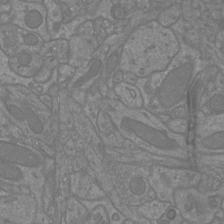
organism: Mouse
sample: Cortical neurons